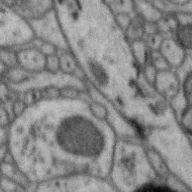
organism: Zebra finch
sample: Brain